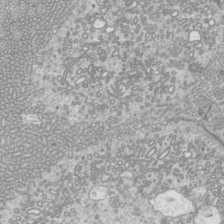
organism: Mouse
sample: Cilia; mouse epididymis